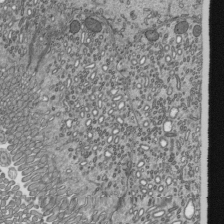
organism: Mouse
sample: Mouse epididymis efferent ductule cilia